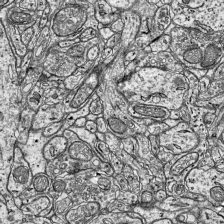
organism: Mouse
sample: Visual Cortex